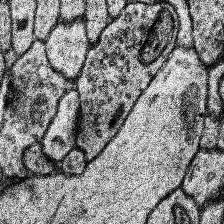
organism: Human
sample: Temporal Lobe